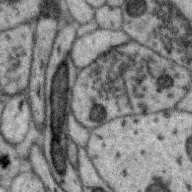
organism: Zebra finch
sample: Brain